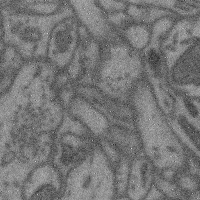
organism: Mouse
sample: Cerebral cortex